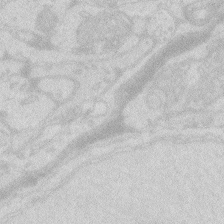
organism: Zebrafish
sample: Macrophage